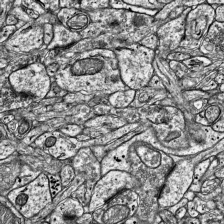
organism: Mouse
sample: Visual Cortex